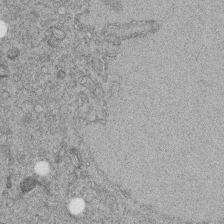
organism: C. elegans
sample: C. elegans embryo early stage